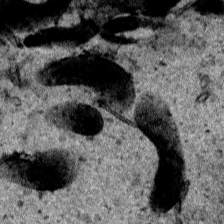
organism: Human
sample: Mitochondria in HCT116 cells